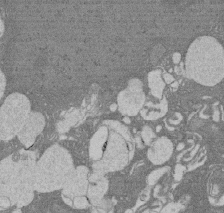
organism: Rat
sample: Salivary granule